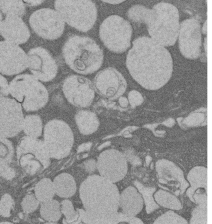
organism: Rat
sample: Salivary granule